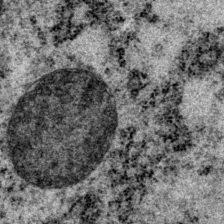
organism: P. pacificus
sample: Pharynx